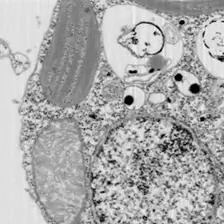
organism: Chlamydomonas reinhardtii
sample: Whole Cell